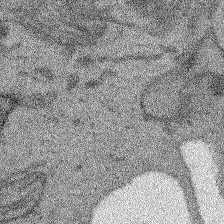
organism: Human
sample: HeLa cells